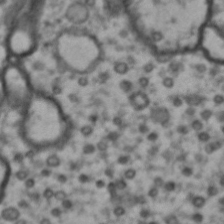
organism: Drosophila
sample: Brain